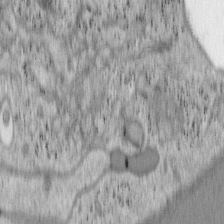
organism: Human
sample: HeLa cells